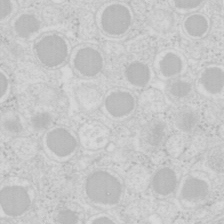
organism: Mouse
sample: Pancreas